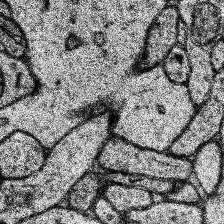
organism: Human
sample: Temporal Lobe